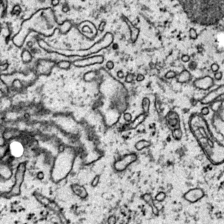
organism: Mouse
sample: Primary visual cortex